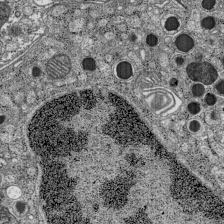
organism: C57BL Mouse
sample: Pancreatic islet